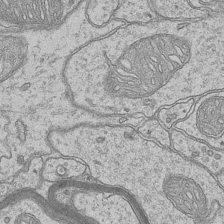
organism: Mouse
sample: CA1 Hippocampus